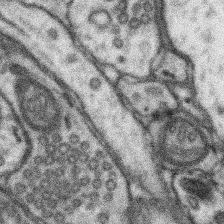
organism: Mouse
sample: Somatosensory cortex neuropil